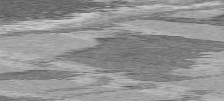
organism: C57BL Mouse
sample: Heart